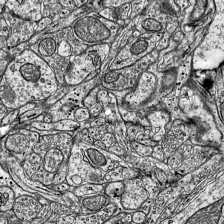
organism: Mouse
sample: Visual Cortex